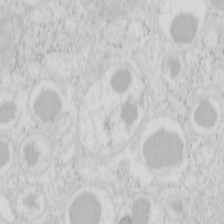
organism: Mouse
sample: Pancreas